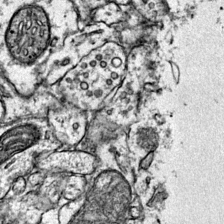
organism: Mouse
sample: Primary visual cortex